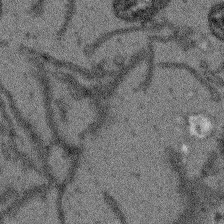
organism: Arabidopsis thaliana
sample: Root tip